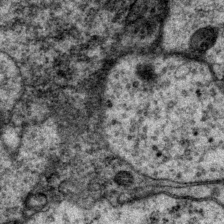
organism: P. pacificus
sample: Pharynx